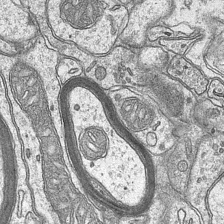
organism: Mouse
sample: CA1 Hippocampus